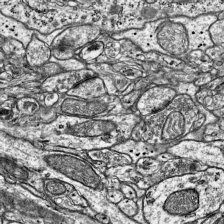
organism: Mouse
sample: Visual Cortex